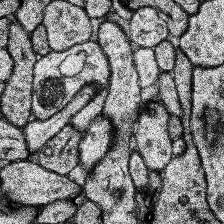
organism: Human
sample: Temporal Lobe